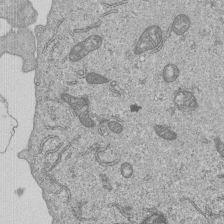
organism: Human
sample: MDA-MB-231 cells